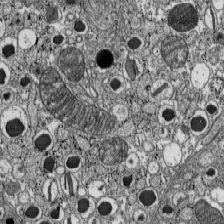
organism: C57BL Mouse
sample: Pancreatic islet